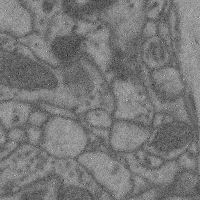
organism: Mouse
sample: Cerebral cortex